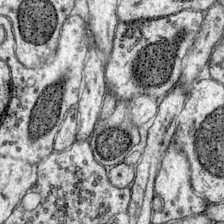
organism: Mouse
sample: Primary visual cortex